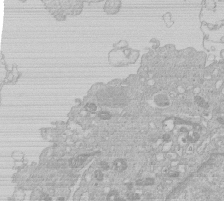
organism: Human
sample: Macrophage cells